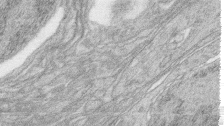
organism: Zebrafish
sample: synaptic ribbons in rod cells and cone cells